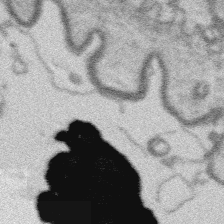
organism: Platynereis dumerilii